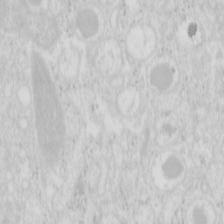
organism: Mouse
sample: Pancreas